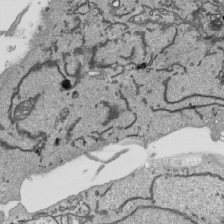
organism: Human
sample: Mitochondria in HCT116 cells